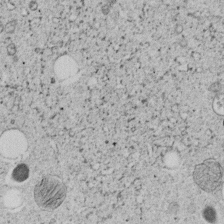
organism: C. elegans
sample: C. elegans embryo early stage